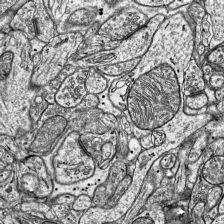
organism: Mouse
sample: Visual Cortex